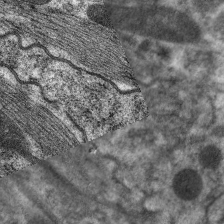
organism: C. elegans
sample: Pharynx